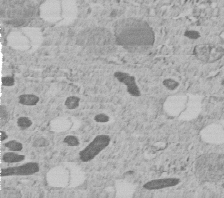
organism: C. elegans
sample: C. elegans embryo early stage